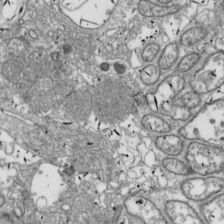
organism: Drosophila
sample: Cell division; meiosis; drosophila spermatocytes